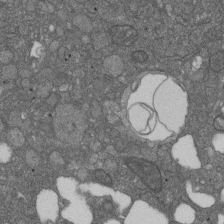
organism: Drosophila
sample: Nephrocyte